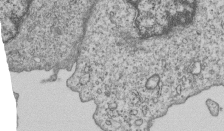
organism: Human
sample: MDA-MB-231 cells